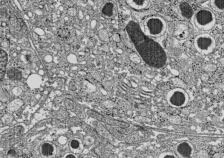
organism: C57BL Mouse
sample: Pancreatic islet